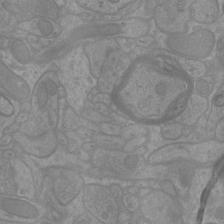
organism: Mouse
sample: Cortical neurons